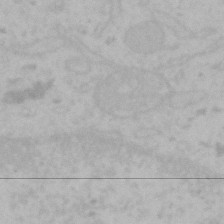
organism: Mouse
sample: Choroid plexus